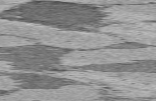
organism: C57BL Mouse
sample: Heart